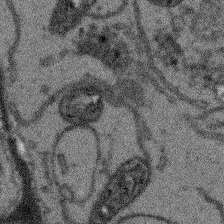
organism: Arabidopsis thaliana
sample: Root tip